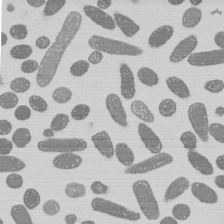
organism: E. coli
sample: Bacterial nucleoid